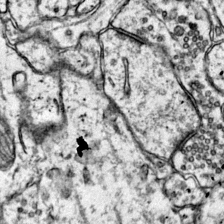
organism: Mouse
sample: Primary visual cortex